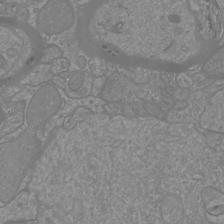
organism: Mouse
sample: Cortical neurons